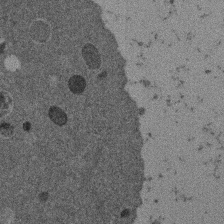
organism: Mouse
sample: Dividing mouse embryo 1 cell stage